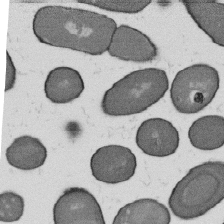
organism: B. subtilis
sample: Bacterial spore